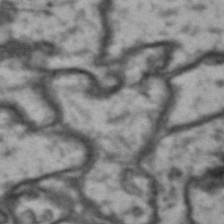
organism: Drosophila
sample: Brain